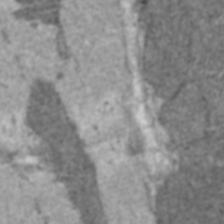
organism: C57BL Mouse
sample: Heart